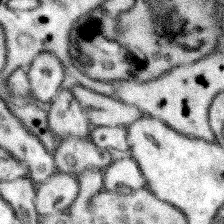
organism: Mouse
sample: Somatosensory cortex neuropil